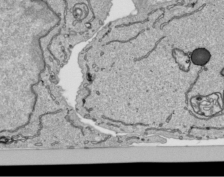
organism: Human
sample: Mitochondria in HCT116 cells